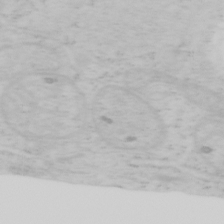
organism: Mouse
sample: OT-I killer T cells with ID8 ovarian cancer cells